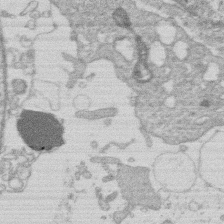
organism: Human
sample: Macrophage cells